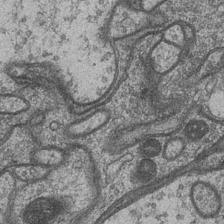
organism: Drosophila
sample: Optic medulla